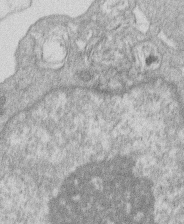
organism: Human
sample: Macrophage cells